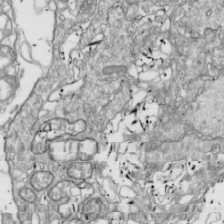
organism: Drosophila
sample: Cell division; meiosis; drosophila spermatocytes